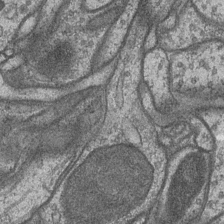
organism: Drosophila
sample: Optic medulla